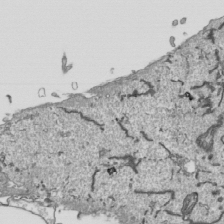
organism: Human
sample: Mitochondria in HCT116 cells